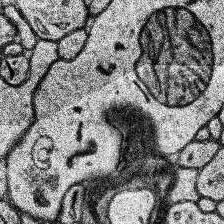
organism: Human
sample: Temporal Lobe